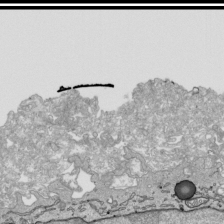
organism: Human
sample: Mitochondria in HCT116 cells